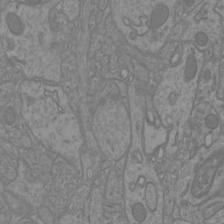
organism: Mouse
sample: Cortical neurons